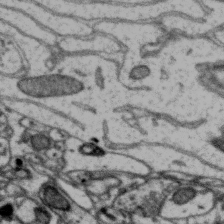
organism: Zebra finch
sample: Brain